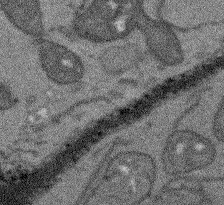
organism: Arabidopsis thaliana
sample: Root tip